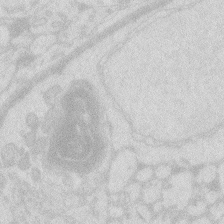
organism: Zebrafish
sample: Macrophage